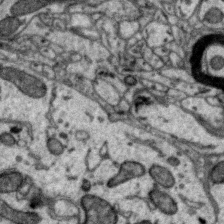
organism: Zebra finch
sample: Brain